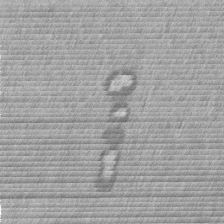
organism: Mouse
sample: Dividing mouse embryo 1 cell stage